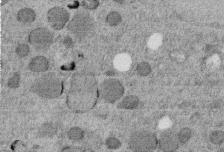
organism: C. elegans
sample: C. elegans embryo early stage